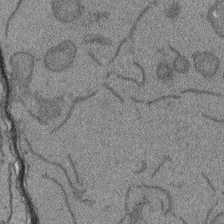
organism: Arabidopsis thaliana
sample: Root tip